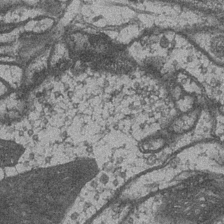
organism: Drosophila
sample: Optic medulla